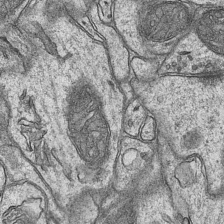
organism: Mouse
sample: CA1 Hippocampus